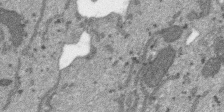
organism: Human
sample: Lung epithelial cells infected with SARS-CoV-2